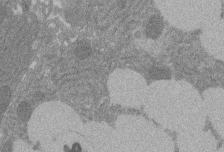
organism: Rat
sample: Salivary granule